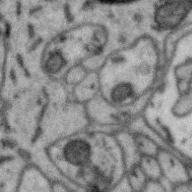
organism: Zebra finch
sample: Brain